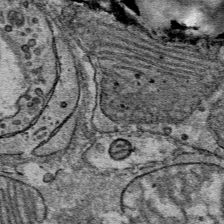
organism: Mouse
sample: Mouse Salivary gland